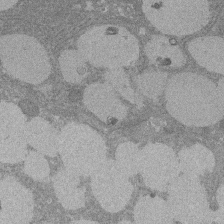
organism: Rat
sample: Salivary granule